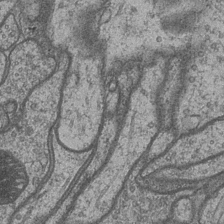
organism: Drosophila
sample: Optic medulla